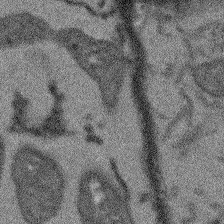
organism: Arabidopsis thaliana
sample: Root tip